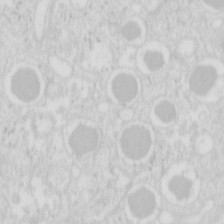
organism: Mouse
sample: Pancreas